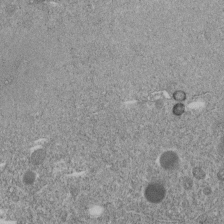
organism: C. elegans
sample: C. elegans embryo early stage